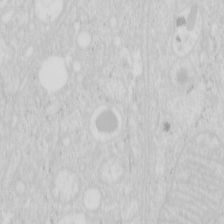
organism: Mouse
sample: Pancreas